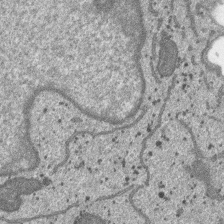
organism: Human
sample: Lung epithelial cells infected with SARS-CoV-2